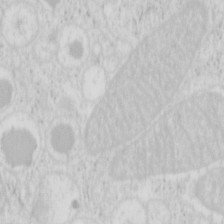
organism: Mouse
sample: Pancreas